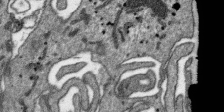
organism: Human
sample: Lung epithelial cells, uninfected (mock) control